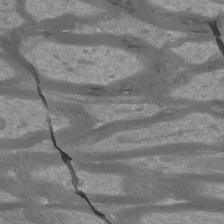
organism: Mouse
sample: Cortical neurons